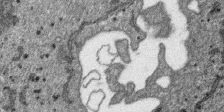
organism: Human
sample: Lung epithelial cells infected with SARS-CoV-2